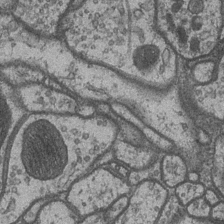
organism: Drosophila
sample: Optic medulla